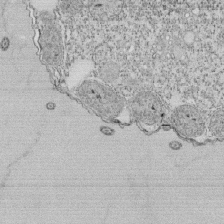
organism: Tetrahymena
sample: Cilia in tetrahymena